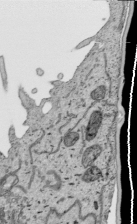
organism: Human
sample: Mitochondria in HCT116 cells